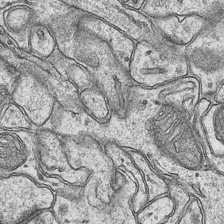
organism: Mouse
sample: CA1 Hippocampus